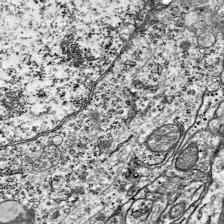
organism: Mouse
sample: Visual Cortex